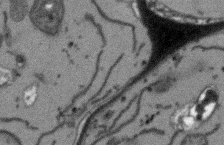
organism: Arabidopsis thaliana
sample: Root tip